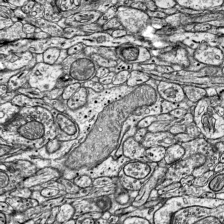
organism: Mouse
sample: Visual Cortex